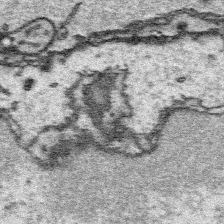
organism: Platynereis dumerilii